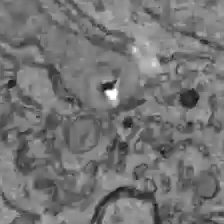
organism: C57BL Mouse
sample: Liver